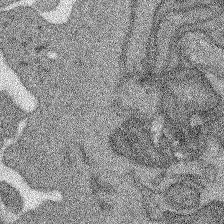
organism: Human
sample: HeLa cells